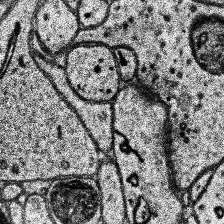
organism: Human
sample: Temporal Lobe